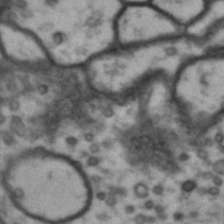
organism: Drosophila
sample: Brain